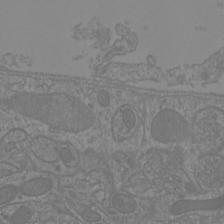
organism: Mouse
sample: Cortical neurons